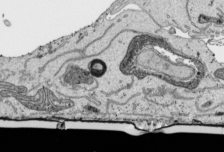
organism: Human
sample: Mitochondria in HCT116 cells